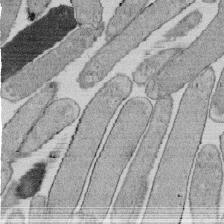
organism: E. coli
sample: Bacterial nucleoid